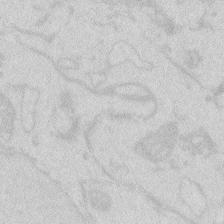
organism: Zebrafish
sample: Macrophage